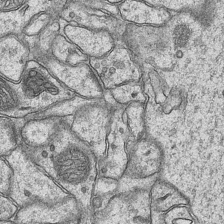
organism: Mouse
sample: CA1 Hippocampus